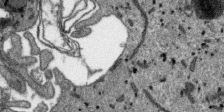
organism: Human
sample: Lung epithelial cells, uninfected (mock) control